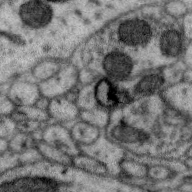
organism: Zebra finch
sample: Brain